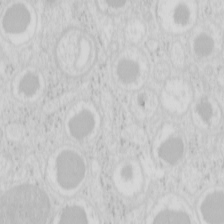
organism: Mouse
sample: Pancreas